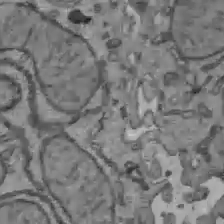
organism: C57BL Mouse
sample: Liver